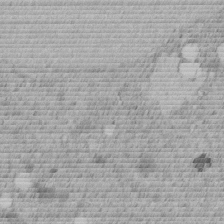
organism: C. elegans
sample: C. elegans embryo early stage